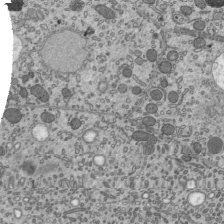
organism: Mouse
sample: Mouse epididymis efferent ductule cilia